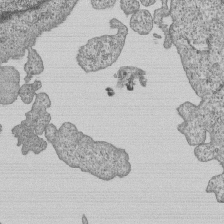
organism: Human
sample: MDA-MB-231 cells